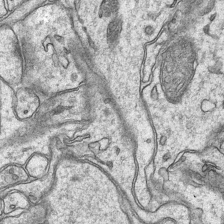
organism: Mouse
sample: CA1 Hippocampus